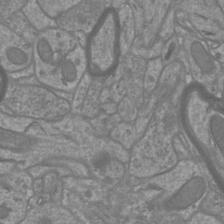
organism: Mouse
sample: Cortical neurons